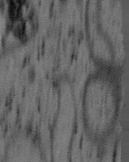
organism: Human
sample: HeLa cells